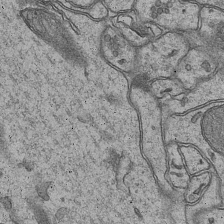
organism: Mouse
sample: CA1 Hippocampus